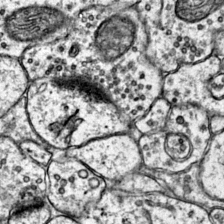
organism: Mouse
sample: Primary visual cortex